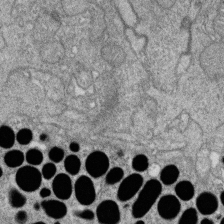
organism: Zebrafish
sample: Cilia; retinal pigment epithelium